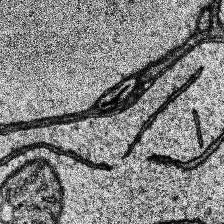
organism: Human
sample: Temporal Lobe